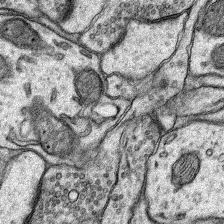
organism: Rat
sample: Hippocampus